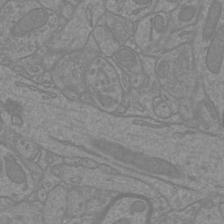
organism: Mouse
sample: Cortical neurons